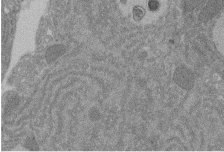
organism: Rat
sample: Salivary granule